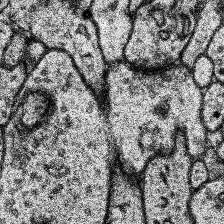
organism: Human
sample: Temporal Lobe